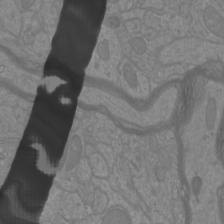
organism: Mouse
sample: Cortical neurons